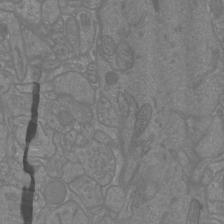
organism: Mouse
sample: Cortical neurons